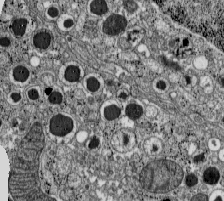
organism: C57BL Mouse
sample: Pancreatic islet